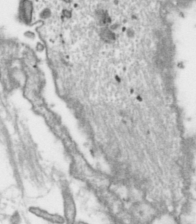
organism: Toxoplasma gondii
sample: Parasites in a vacuole inside a host cell